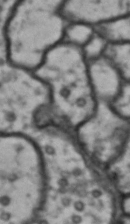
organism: Drosophila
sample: Brain